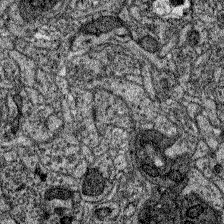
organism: Zebrafish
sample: Larval olfactory bulb